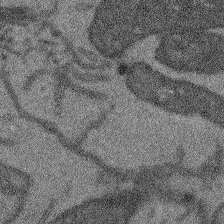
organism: Arabidopsis thaliana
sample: Root tip